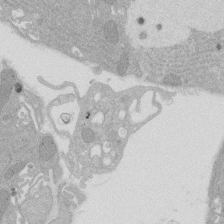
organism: Rat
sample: Salivary granule